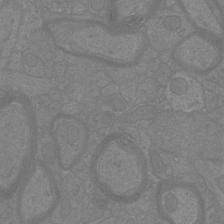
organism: Mouse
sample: Cortical neurons